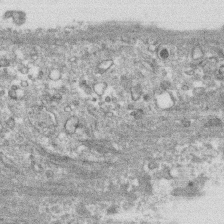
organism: Human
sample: CRL-1474